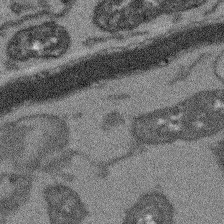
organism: Arabidopsis thaliana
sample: Root tip